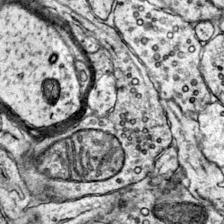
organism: Mouse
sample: Primary visual cortex